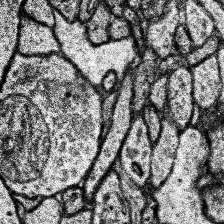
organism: Human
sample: Temporal Lobe